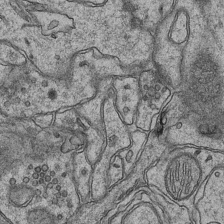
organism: Mouse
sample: CA1 Hippocampus